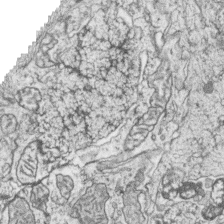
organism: Zebrafish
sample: synaptic ribbons in rod cells and cone cells